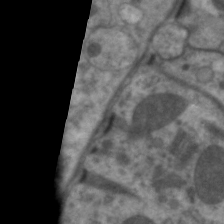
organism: C. elegans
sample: Pharynx